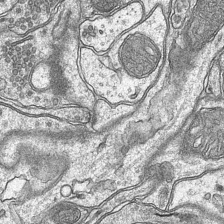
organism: Mouse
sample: CA1 Hippocampus